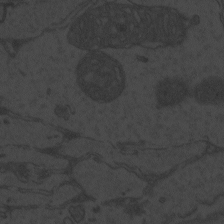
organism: Zebrafish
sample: Macrophage infected with Toxoplasma gondii